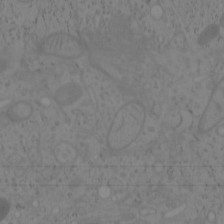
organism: Human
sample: HeLa cells